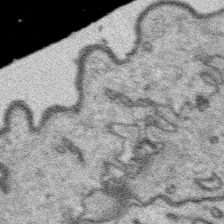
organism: Platynereis dumerilii